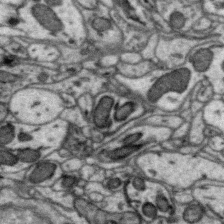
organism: Zebra finch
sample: Brain